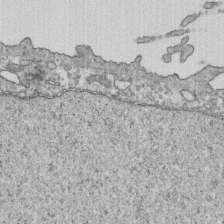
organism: Human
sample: HeLa cell HIV synapse